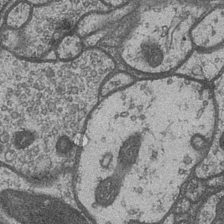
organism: Drosophila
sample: Optic medulla